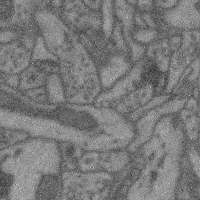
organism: Mouse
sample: Cerebral cortex